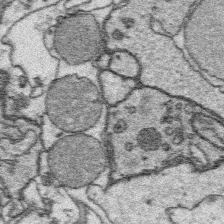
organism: Platynereis dumerilii